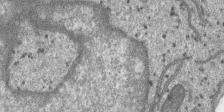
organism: Human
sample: Lung epithelial cells infected with SARS-CoV-2